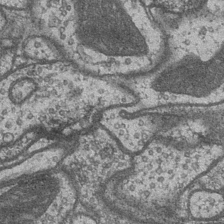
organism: Drosophila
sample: Optic medulla